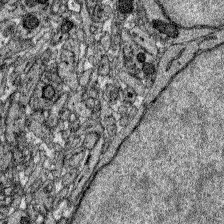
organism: Zebrafish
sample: Larval olfactory bulb